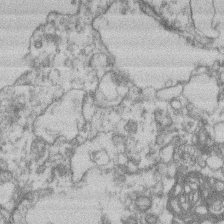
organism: Mouse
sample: T cell stromal cell synapse